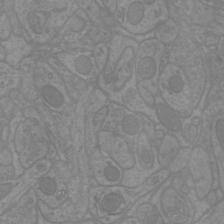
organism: Mouse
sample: Cortical neurons